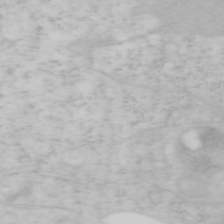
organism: Mouse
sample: OT-I killer T cells with ID8 ovarian cancer cells